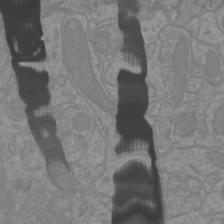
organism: Mouse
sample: Cortical neurons